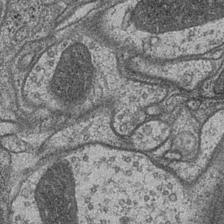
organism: Drosophila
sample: Optic medulla